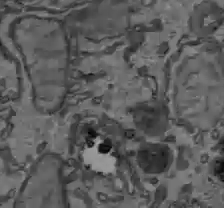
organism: C57BL Mouse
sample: Liver